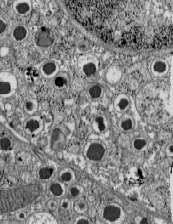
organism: C57BL Mouse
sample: Pancreatic islet